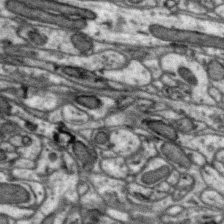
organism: Zebra finch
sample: Brain